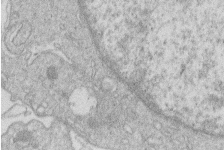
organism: Human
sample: Macrophage cells